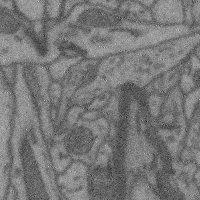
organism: Mouse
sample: Cerebral cortex